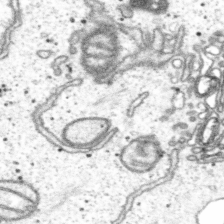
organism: Human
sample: HeLa cells